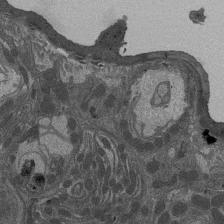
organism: Drosophila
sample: Antenna